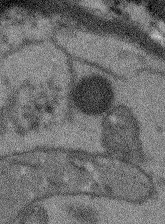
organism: Arabidopsis thaliana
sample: Root tip